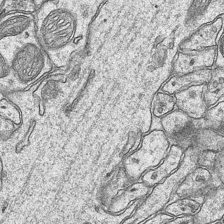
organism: Mouse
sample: CA1 Hippocampus